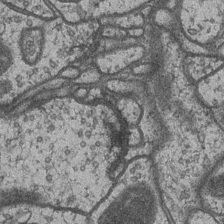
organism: Drosophila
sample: Optic medulla